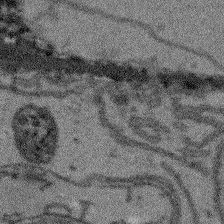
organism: Arabidopsis thaliana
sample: Root tip